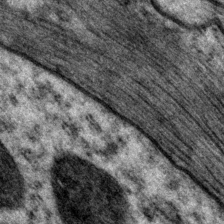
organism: P. pacificus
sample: Pharynx